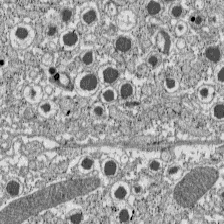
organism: C57BL Mouse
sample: Pancreatic islet